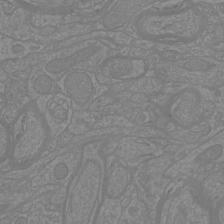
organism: Mouse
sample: Cortical neurons